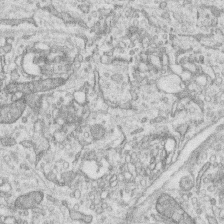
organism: Human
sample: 1205lu cells